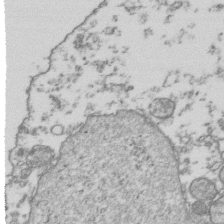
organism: Human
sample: Activated Jurkat CD4+ T cells